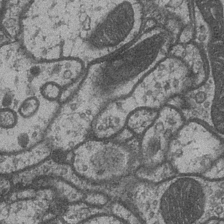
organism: Drosophila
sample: Optic medulla